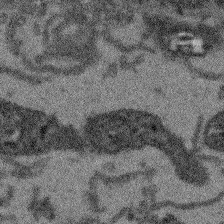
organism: Arabidopsis thaliana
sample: Root tip